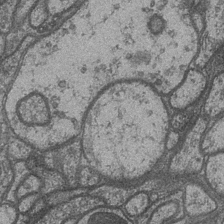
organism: Drosophila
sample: Optic medulla